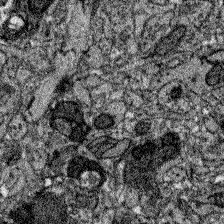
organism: Zebrafish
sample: Larval olfactory bulb